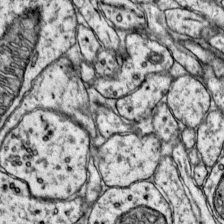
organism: Mouse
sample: Primary visual cortex